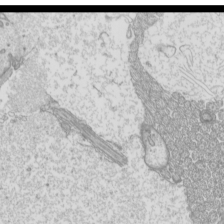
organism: Mouse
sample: Cilia; mouse epididymis